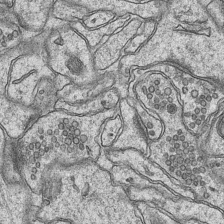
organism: Mouse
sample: CA1 Hippocampus